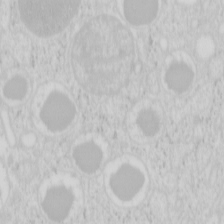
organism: Mouse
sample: Pancreas